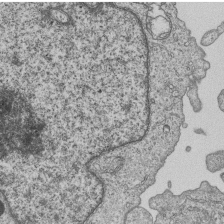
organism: Human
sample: MDA-MB-231 cells